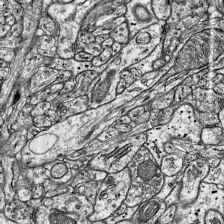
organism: Mouse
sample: Visual Cortex